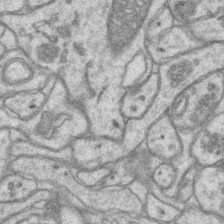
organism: Mouse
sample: CA1 Hippocampus